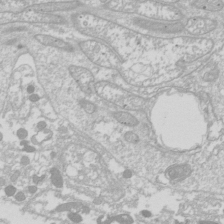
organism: Drosophila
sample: Cell division; meiosis; drosophila spermatocytes